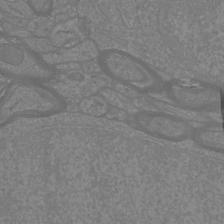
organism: Mouse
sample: Cortical neurons